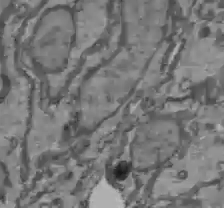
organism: C57BL Mouse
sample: Liver